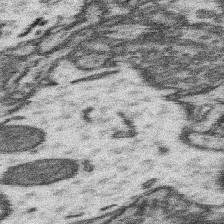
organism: Mouse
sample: Somatosensory cortex neuropil